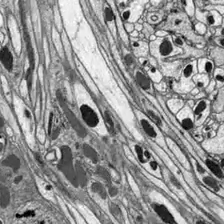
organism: Drosophila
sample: Optic lobe